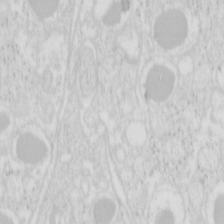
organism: Mouse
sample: Pancreas